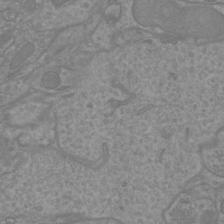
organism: Mouse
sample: Cortical neurons